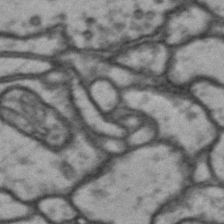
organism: Drosophila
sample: Brain